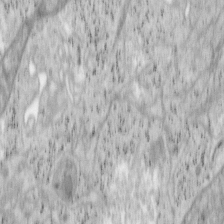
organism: Human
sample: HeLa cells